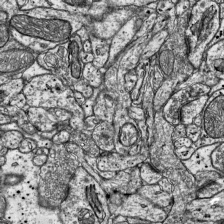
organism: Mouse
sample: Visual Cortex